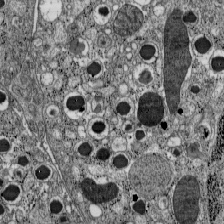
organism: C57BL Mouse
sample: Pancreatic islet